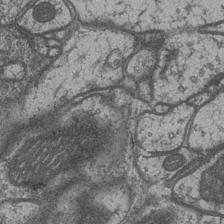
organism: Drosophila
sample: Optic medulla